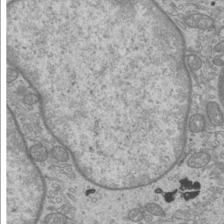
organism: Mouse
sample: Cilia; mouse epididymis